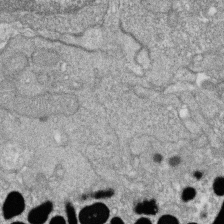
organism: Zebrafish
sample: Cilia; retinal pigment epithelium